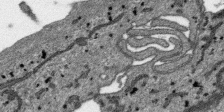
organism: Human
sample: Lung epithelial cells, uninfected (mock) control